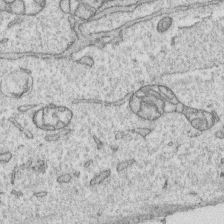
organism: Human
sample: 1205lu cells